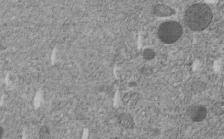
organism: C. elegans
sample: C. elegans embryo early stage